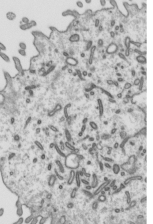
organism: Mouse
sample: Mouse epididymis efferent ductule cilia